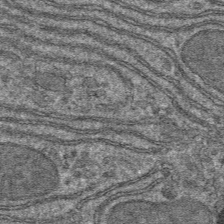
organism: Mouse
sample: Mouse hepatocytes